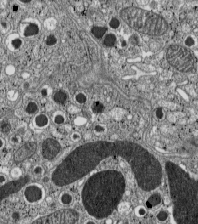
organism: C57BL Mouse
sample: Pancreatic islet